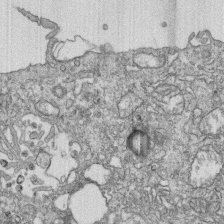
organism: Human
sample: HeLa cell HIV synapse